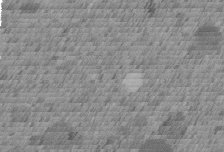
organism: C. elegans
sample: C. elegans embryo early stage